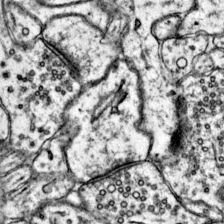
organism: Mouse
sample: Primary visual cortex